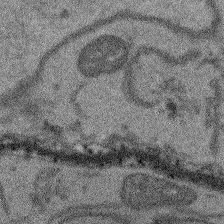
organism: Arabidopsis thaliana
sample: Root tip